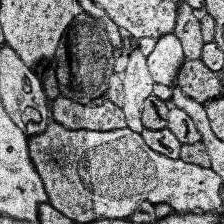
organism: Human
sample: Temporal Lobe